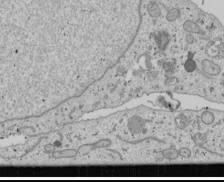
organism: Human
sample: Mitochondria in U2OS cells